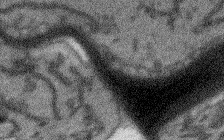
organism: Arabidopsis thaliana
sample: Root tip